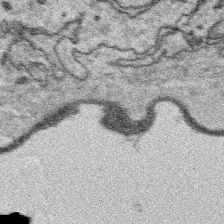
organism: Platynereis dumerilii